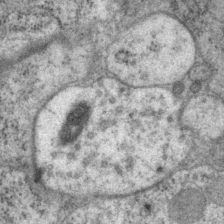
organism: P. pacificus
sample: Pharynx